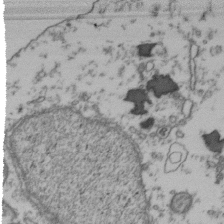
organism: Human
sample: Activated Jurkat CD4+ T cells